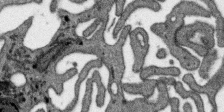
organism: Human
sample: Lung epithelial cells, uninfected (mock) control